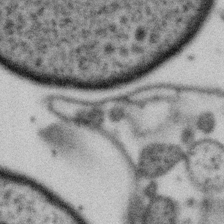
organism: Gemmata obscuriglobus